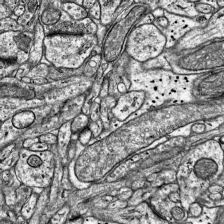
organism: Mouse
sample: Visual Cortex